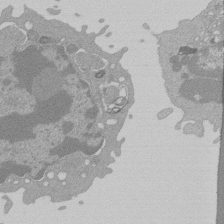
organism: Mouse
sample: Activated Pmel transgenic CD8+ T Cells